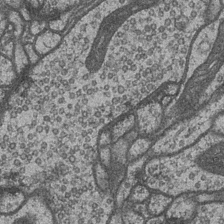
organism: Drosophila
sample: Optic medulla